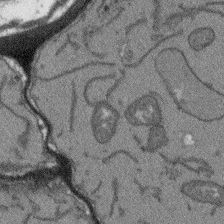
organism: Arabidopsis thaliana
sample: Root tip